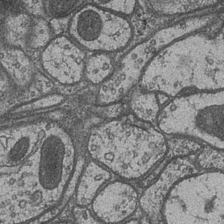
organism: Drosophila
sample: Optic medulla